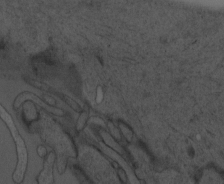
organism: Mouse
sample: OT-I killer T cells with ID8 ovarian cancer cells